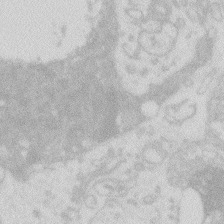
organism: Zebrafish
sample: Macrophage